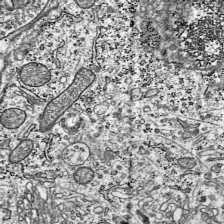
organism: Mouse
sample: Visual Cortex